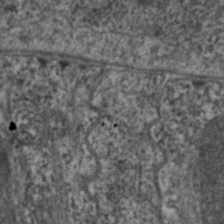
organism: C. elegans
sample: Pharynx